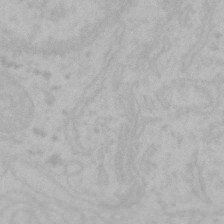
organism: Mouse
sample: Choroid plexus